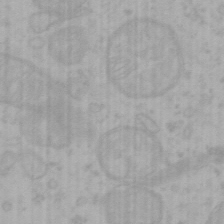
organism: Mouse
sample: Choroid plexus